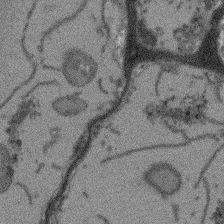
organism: Arabidopsis thaliana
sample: Root tip